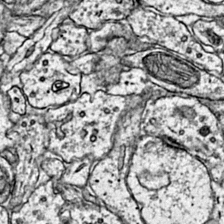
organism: Mouse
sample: Primary visual cortex